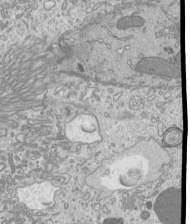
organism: Mouse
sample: Cilia; mouse epididymis